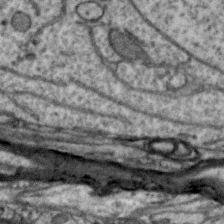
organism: Zebra finch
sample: Brain